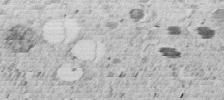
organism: C. elegans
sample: C. elegans embryo early stage